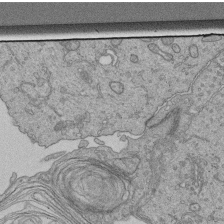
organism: Human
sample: Retinal organoid Rod and Cone cells